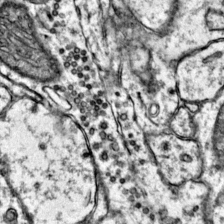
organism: Mouse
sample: Primary visual cortex